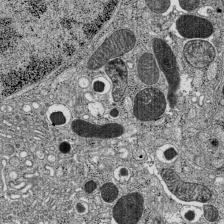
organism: C57BL Mouse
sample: Pancreatic islet